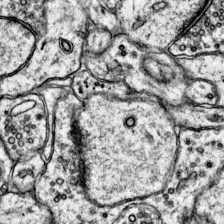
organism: Mouse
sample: Primary visual cortex